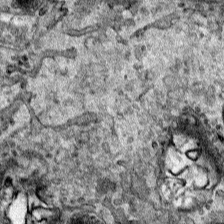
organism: Human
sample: Mitochondria in HCT116 cells